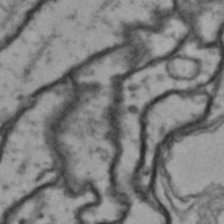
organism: Drosophila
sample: Brain